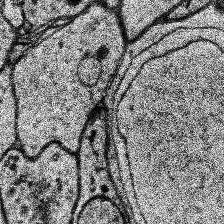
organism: Human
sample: Temporal Lobe